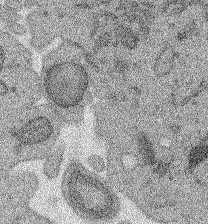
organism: Human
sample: HeLa cells